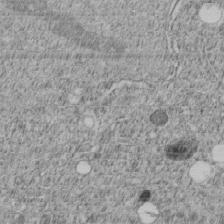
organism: C. elegans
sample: C. elegans embryo early stage